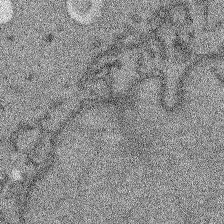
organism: Human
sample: HeLa cells